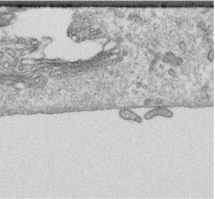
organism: Human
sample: Centriole in RPE cells